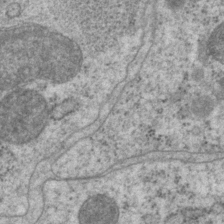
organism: P. pacificus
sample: Pharynx